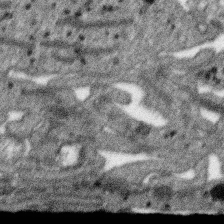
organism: Human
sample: Lung epithelial cells infected with SARS-CoV-2